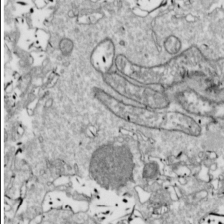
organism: Drosophila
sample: Cell division; meiosis; drosophila spermatocytes